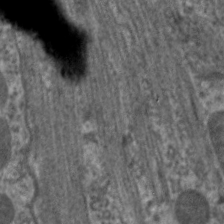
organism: C. elegans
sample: Pharynx